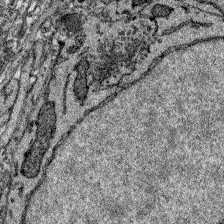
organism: Zebrafish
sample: Larval olfactory bulb